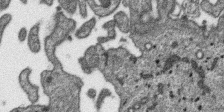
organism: Human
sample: Lung epithelial cells infected with SARS-CoV-2